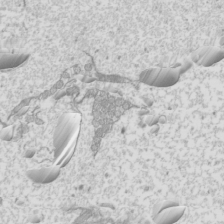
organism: Mouse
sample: Cilia; mouse epididymis